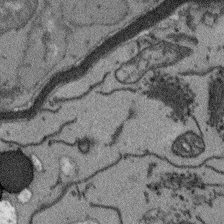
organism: Arabidopsis thaliana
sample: Root tip